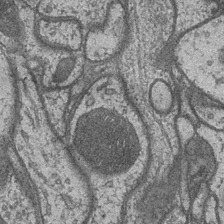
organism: Drosophila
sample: Optic medulla